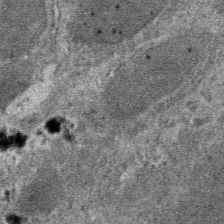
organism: Mouse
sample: Mouse hepatocytes